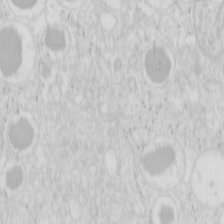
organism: Mouse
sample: Pancreas